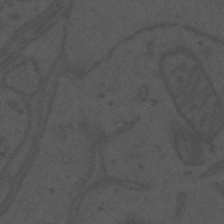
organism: Mouse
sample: Suprachiasmatic nucleus